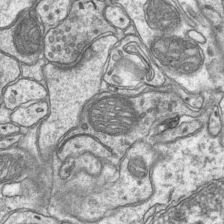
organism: Mouse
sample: CA1 Hippocampus